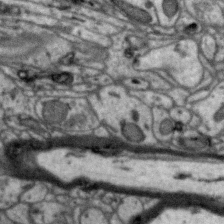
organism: Zebra finch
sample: Brain